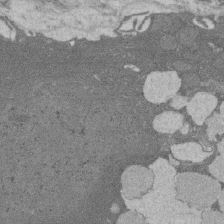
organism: Rat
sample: Salivary granule